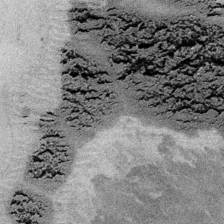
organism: Embia sp.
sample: Silk gland